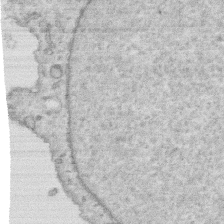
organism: Human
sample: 1205lu cells